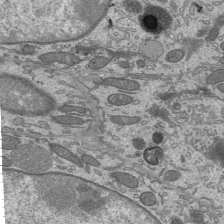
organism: Mouse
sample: Mouse epididymis efferent ductule cilia